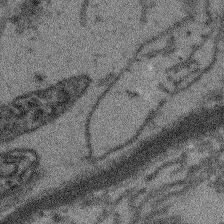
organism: Arabidopsis thaliana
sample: Root tip